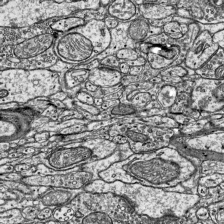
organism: Mouse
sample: Visual Cortex